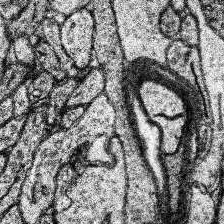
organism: Human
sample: Temporal Lobe